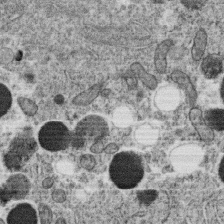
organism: C. elegans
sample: C. elegans oocyte; sperm cells